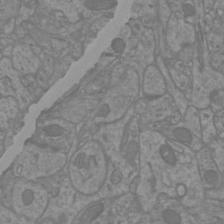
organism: Mouse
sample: Cortical neurons